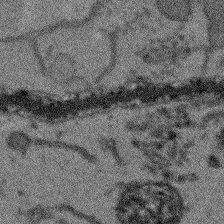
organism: Arabidopsis thaliana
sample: Root tip